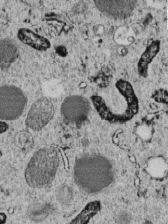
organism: C. elegans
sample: C. elegans embryo early stage